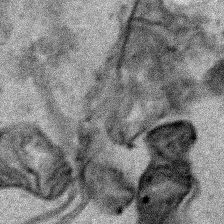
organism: Human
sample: Mitochondria in HCT116 cells